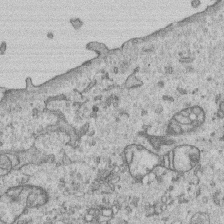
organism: Human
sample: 1205lu cells